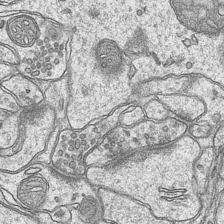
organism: Mouse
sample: CA1 Hippocampus